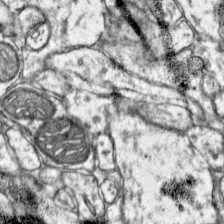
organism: Mouse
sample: Primary visual cortex